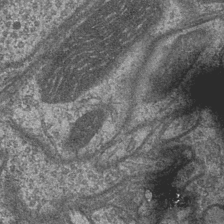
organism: Drosophila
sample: Optic medulla